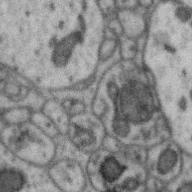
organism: Zebra finch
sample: Brain